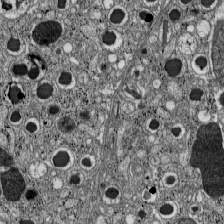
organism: C57BL Mouse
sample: Pancreatic islet